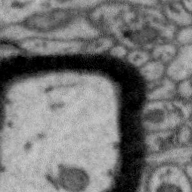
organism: Zebra finch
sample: Brain